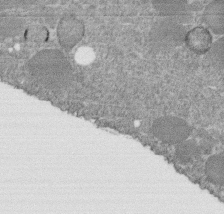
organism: C. elegans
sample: C. elegans embryo early stage